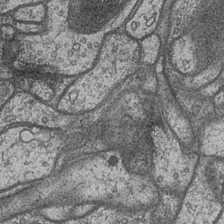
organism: Drosophila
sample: Optic medulla